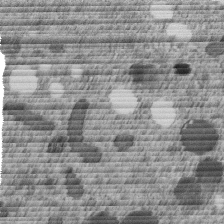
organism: C. elegans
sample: C. elegans embryo early stage